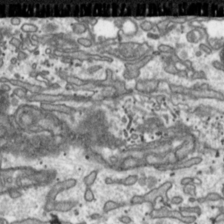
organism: Toxoplasma gondii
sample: Parasites in a vacuole inside a host cell